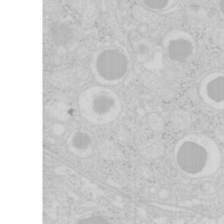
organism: Mouse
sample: Pancreas